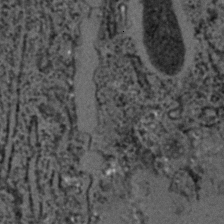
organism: C. elegans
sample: C. elegans embryo